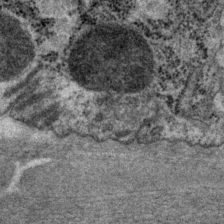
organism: P. pacificus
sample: Pharynx